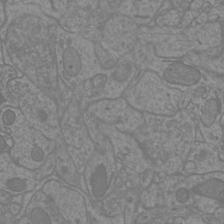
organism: Mouse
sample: Cortical neurons